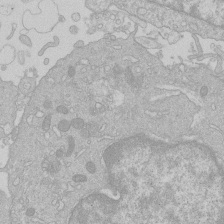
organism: Human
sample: Macrophage cells